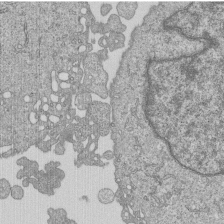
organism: Human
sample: MDA-MB-231 cells